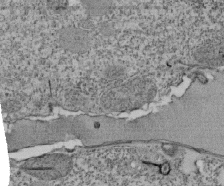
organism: Tetrahymena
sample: Cilia in tetrahymena